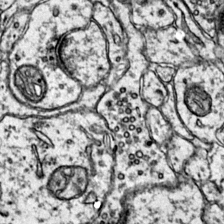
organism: Mouse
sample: Primary visual cortex